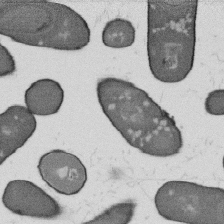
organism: B. subtilis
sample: Bacterial spore